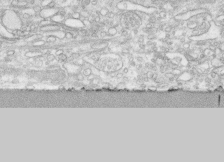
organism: Human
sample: CRL-1474